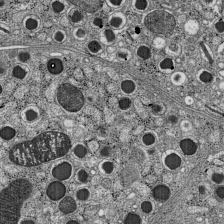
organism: C57BL Mouse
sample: Pancreatic islet